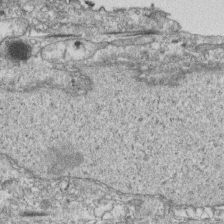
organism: Human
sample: HeLa cell HIV synapse